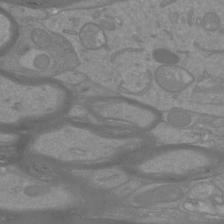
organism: Mouse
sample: Cortical neurons